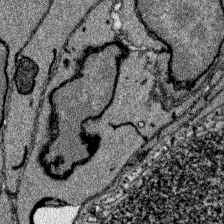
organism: Zebrafish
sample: Larval olfactory bulb